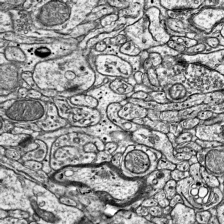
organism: Mouse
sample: Visual Cortex